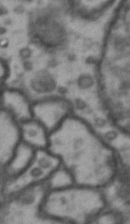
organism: Drosophila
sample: Brain